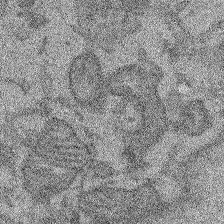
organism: Human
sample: HeLa cells